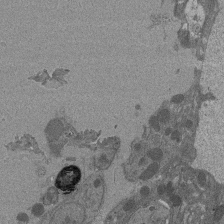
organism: Drosophila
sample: Antenna